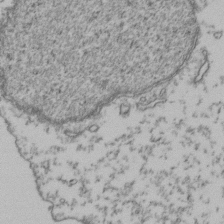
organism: Human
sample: Activated Jurkat CD4+ T cells